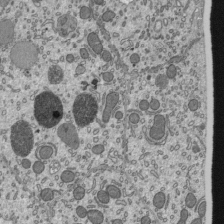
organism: Mouse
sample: Mouse epididymis efferent ductule cilia